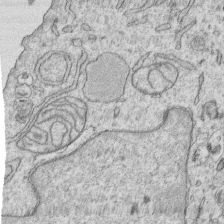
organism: Human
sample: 1205lu cells